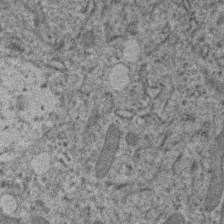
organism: Human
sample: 1205lu cells